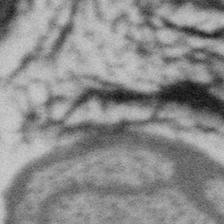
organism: Gemmata obscuriglobus